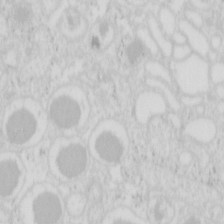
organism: Mouse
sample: Pancreas